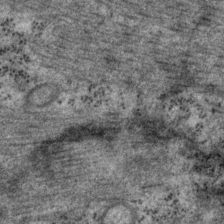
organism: P. pacificus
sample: Pharynx